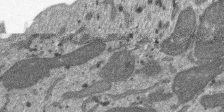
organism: Human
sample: Lung epithelial cells infected with SARS-CoV-2